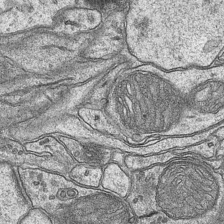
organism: Mouse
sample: CA1 Hippocampus